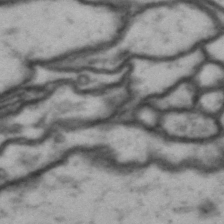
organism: Drosophila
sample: Brain